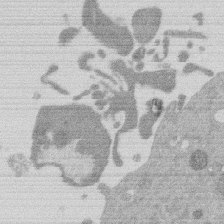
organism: Mouse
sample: Dividing mouse embryo 1 cell stage